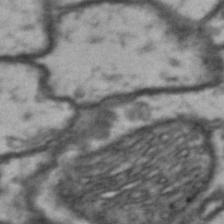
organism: Drosophila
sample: Brain